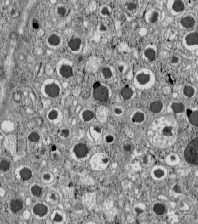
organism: C57BL Mouse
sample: Pancreatic islet